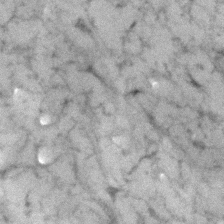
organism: Human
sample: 1205lu cells